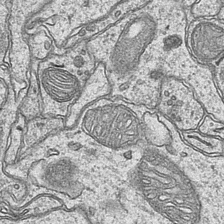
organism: Mouse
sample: CA1 Hippocampus